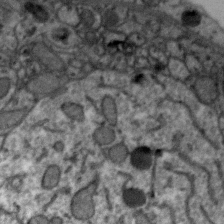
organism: Zebra finch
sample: Brain